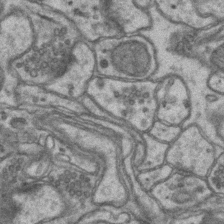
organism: Mouse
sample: CA1 Hippocampus